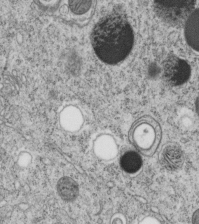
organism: C. elegans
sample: C. elegans embryo early stage